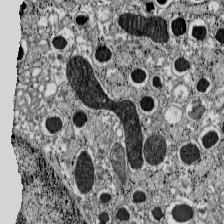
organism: C57BL Mouse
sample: Pancreatic islet